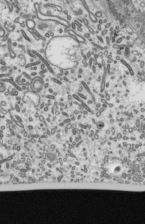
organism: Mouse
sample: Mouse epididymis efferent ductule cilia